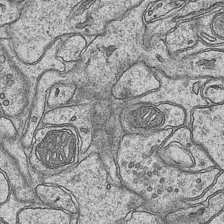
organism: Mouse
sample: CA1 Hippocampus